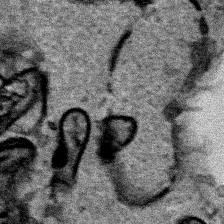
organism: Human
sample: Mitochondria in HCT116 cells